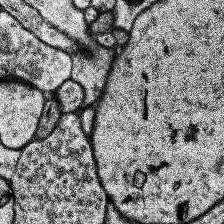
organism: Human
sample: Temporal Lobe